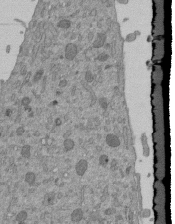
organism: Mouse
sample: ED-1 cell nuclei; centrioles